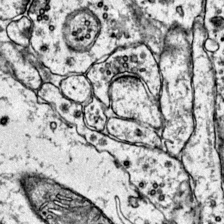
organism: Mouse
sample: Primary visual cortex